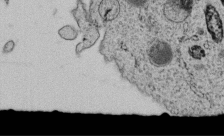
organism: C. elegans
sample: C. elegans embryo early stage